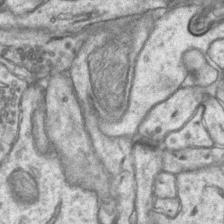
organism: Mouse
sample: CA1 Hippocampus